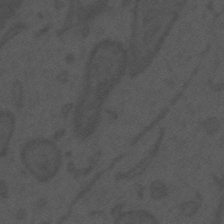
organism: Mouse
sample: Suprachiasmatic nucleus